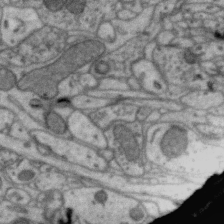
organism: Zebra finch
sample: Brain